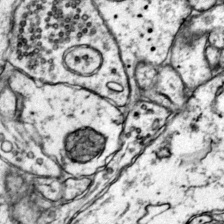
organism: Mouse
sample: Primary visual cortex